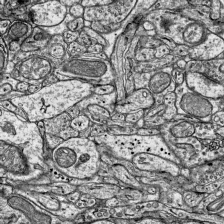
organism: Mouse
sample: Visual Cortex